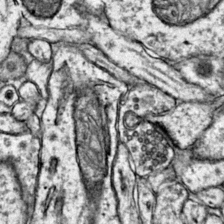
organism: Mouse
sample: Primary visual cortex